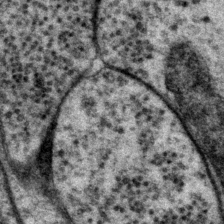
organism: P. pacificus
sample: Pharynx